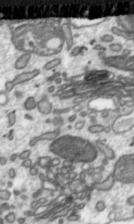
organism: Toxoplasma gondii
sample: Parasites in a vacuole inside a host cell